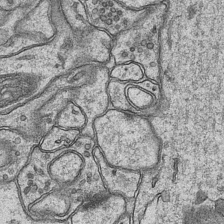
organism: Mouse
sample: CA1 Hippocampus